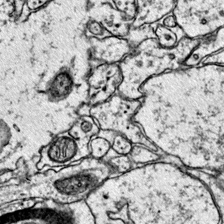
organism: Mouse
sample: Primary visual cortex